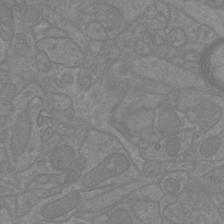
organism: Mouse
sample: Cortical neurons